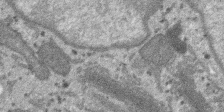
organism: Human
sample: Lung epithelial cells infected with SARS-CoV-2